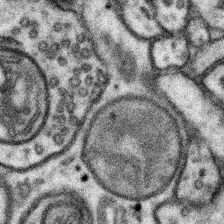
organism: Mouse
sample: Somatosensory cortex neuropil